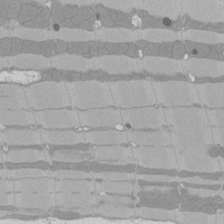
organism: Rat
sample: Left ventricle